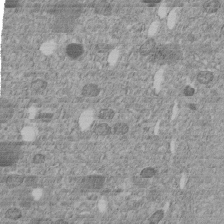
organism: C. elegans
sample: C. elegans embryo early stage